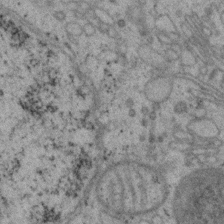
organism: Human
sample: HeLa cells